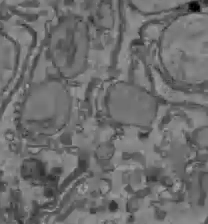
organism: C57BL Mouse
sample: Liver